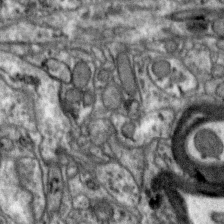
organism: Zebra finch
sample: Brain